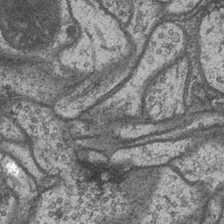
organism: Drosophila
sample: Optic medulla